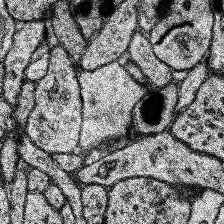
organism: Human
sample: Temporal Lobe